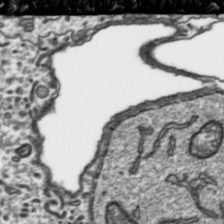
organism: Toxoplasma gondii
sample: Parasites in a vacuole inside a host cell